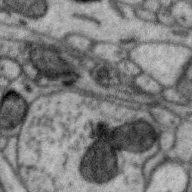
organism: Zebra finch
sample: Brain